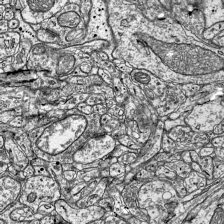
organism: Mouse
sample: Visual Cortex